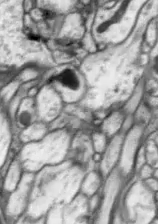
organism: Drosophila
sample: Optic lobe